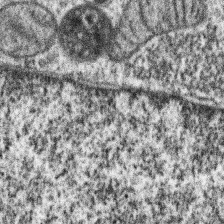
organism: Human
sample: HeLa cells